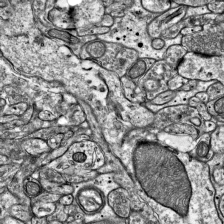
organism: Mouse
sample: Visual Cortex